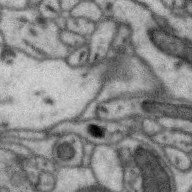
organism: Zebra finch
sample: Brain